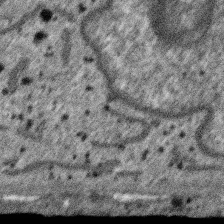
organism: Human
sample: Lung epithelial cells infected with SARS-CoV-2